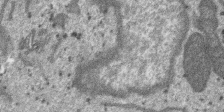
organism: Human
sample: Lung epithelial cells infected with SARS-CoV-2